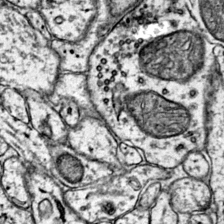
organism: Mouse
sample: Primary visual cortex